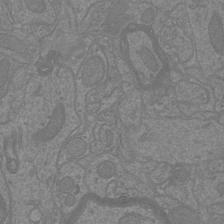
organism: Mouse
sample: Cortical neurons